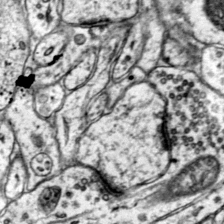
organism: Mouse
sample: Primary visual cortex